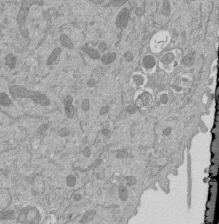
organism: Mouse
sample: ED-1 cell nuclei; centrioles